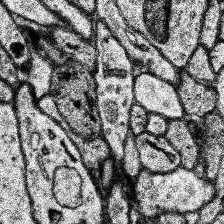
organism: Human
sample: Temporal Lobe